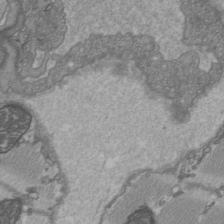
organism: C57BL Mouse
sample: Heart